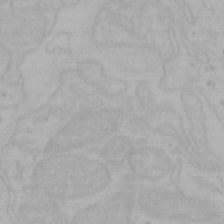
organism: Mouse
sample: Choroid plexus